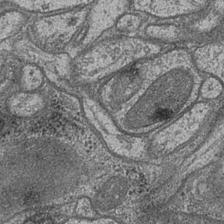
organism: Drosophila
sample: Optic medulla